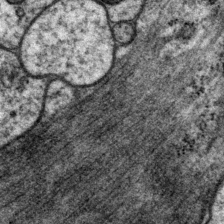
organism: P. pacificus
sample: Pharynx